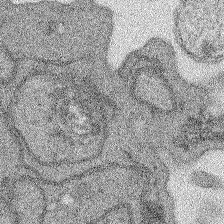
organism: Human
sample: HeLa cells